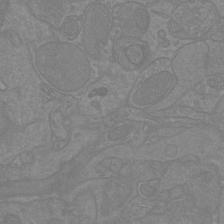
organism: Mouse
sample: Cortical neurons